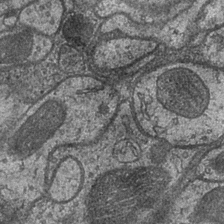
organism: Drosophila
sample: Optic medulla